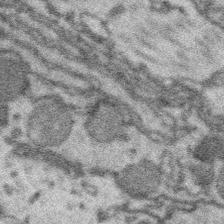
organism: Platynereis dumerilii